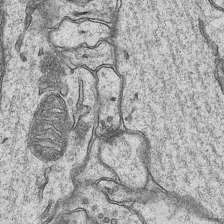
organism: Mouse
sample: CA1 Hippocampus